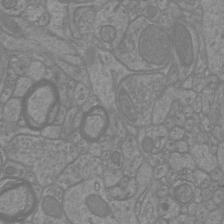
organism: Mouse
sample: Cortical neurons